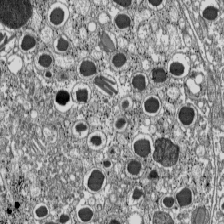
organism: C57BL Mouse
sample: Pancreatic islet